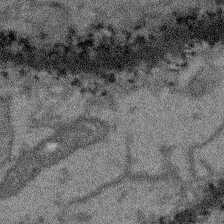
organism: Arabidopsis thaliana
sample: Root tip